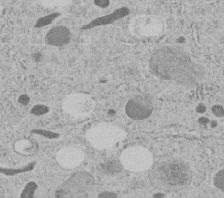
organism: C. elegans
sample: C. elegans embryo early stage